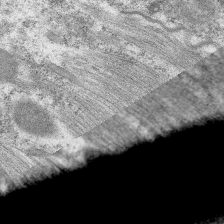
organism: C. elegans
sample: Pharynx